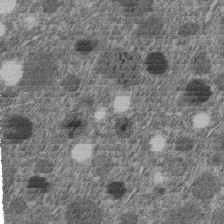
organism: C. elegans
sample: C. elegans embryo early stage